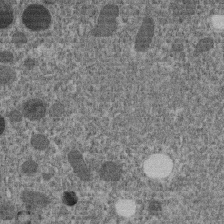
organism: C. elegans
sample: C. elegans embryo early stage